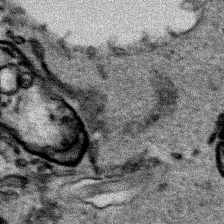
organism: Human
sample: Mitochondria in HCT116 cells